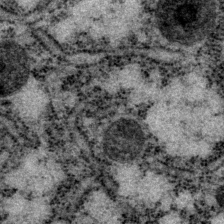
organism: P. pacificus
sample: Pharynx